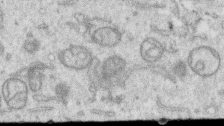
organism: Human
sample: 1205lu cells